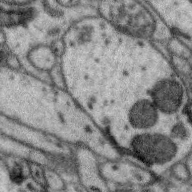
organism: Zebra finch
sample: Brain